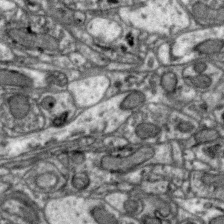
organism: Zebra finch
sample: Brain